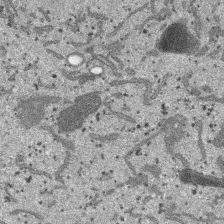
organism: Human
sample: Lung epithelial cells infected with SARS-CoV-2